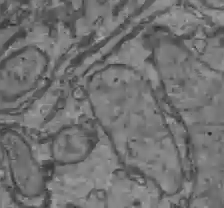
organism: C57BL Mouse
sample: Liver